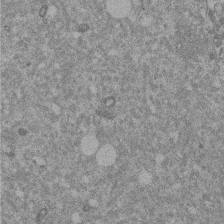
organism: Mouse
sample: Dividing mouse embryo 1 cell stage